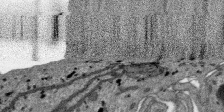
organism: Human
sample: Lung epithelial cells, uninfected (mock) control